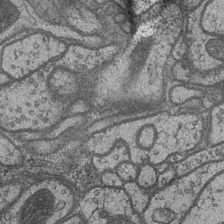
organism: Drosophila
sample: Optic medulla